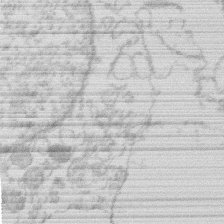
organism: Human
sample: Macrophage cells